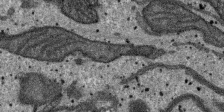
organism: Human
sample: Lung epithelial cells, uninfected (mock) control